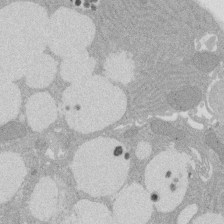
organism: Rat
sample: Salivary granule